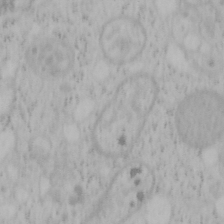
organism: Mouse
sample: OT-I killer T cells with ID8 ovarian cancer cells